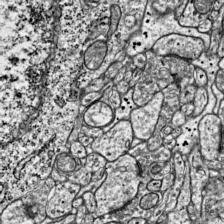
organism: Mouse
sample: Visual Cortex